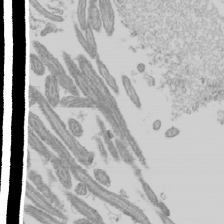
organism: Mouse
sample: Cilia; mouse epididymis